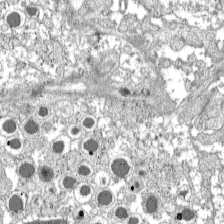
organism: C57BL Mouse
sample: Pancreatic islet